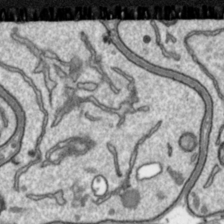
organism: Toxoplasma gondii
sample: Parasites in a vacuole inside a host cell